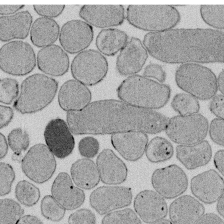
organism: E. coli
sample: Bacterial nucleoid